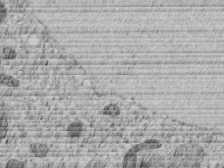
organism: C. elegans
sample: C. elegans embryo early stage